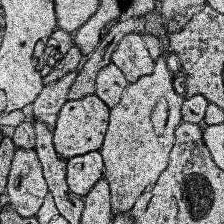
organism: Human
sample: Temporal Lobe